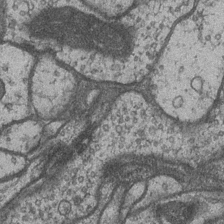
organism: Drosophila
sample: Optic medulla